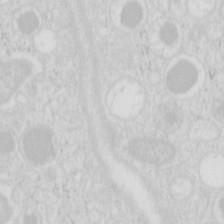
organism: Mouse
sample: Pancreas